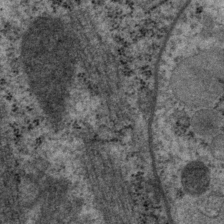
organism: P. pacificus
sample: Pharynx